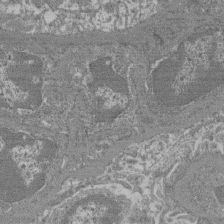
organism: Mouse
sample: Glomerulus